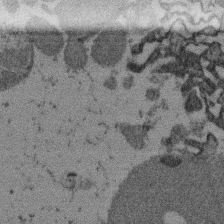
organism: Mouse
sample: Dividing mouse embryo 1 cell stage